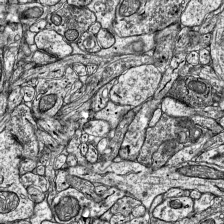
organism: Mouse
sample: Visual Cortex